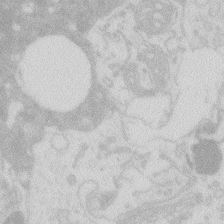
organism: Zebrafish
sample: Macrophage